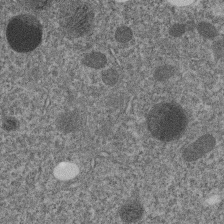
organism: C. elegans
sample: C. elegans embryo early stage